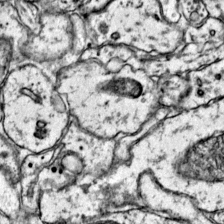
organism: Mouse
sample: Primary visual cortex